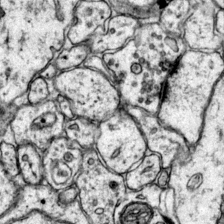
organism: Mouse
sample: Primary visual cortex